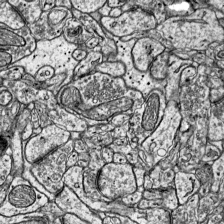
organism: Mouse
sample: Visual Cortex